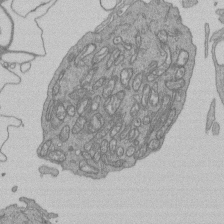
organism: Human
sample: Retinal organoid Rod and Cone cells